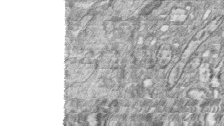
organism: Zebrafish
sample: synaptic ribbons in rod cells and cone cells